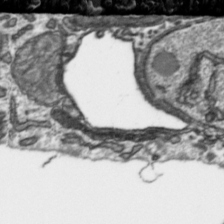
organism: Toxoplasma gondii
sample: Parasites in a vacuole inside a host cell